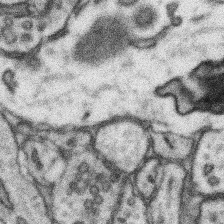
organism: Mouse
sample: Somatosensory cortex neuropil